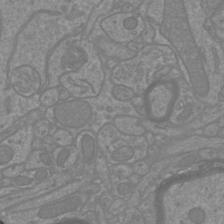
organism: Mouse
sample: Cortical neurons